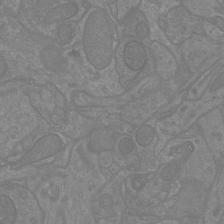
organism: Mouse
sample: Cortical neurons